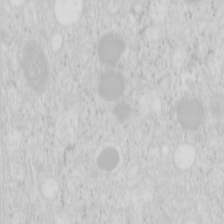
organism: Mouse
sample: Pancreas